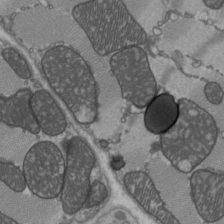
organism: C57BL Mouse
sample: Heart